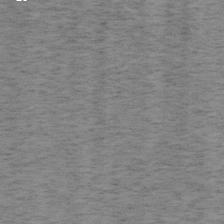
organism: Mouse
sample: OT-I killer T cells with ID8 ovarian cancer cells